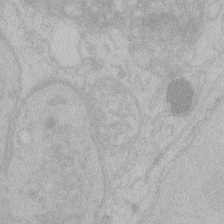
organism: Zebrafish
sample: Macrophage infected with Toxoplasma gondii